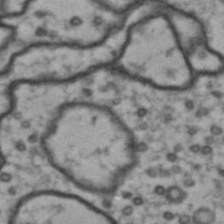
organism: Drosophila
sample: Brain